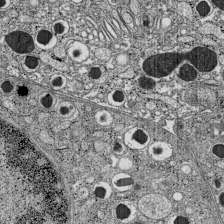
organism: C57BL Mouse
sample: Pancreatic islet